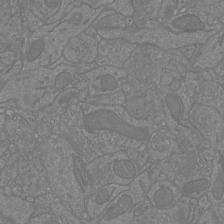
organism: Mouse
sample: Cortical neurons